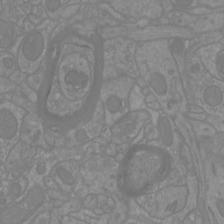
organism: Mouse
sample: Cortical neurons